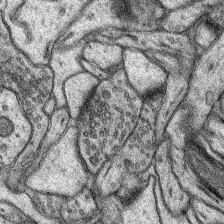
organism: Rat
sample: Hippocampus